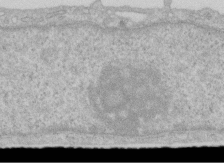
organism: Human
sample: Centriole in RPE cells